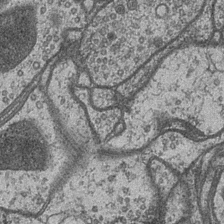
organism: Drosophila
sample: Optic medulla